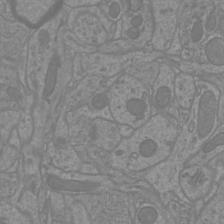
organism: Mouse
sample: Cortical neurons